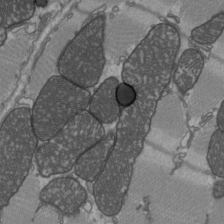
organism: C57BL Mouse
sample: Heart